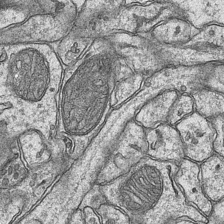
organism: Mouse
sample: CA1 Hippocampus